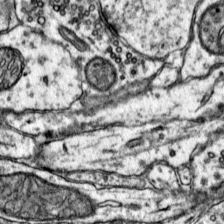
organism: Mouse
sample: Primary visual cortex